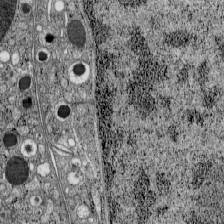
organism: C57BL Mouse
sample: Pancreatic islet